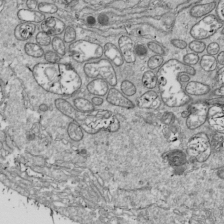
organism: Drosophila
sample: Cell division; meiosis; drosophila spermatocytes